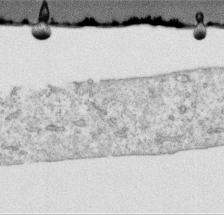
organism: Human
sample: Centriole in RPE cells